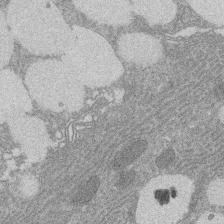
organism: Rat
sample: Salivary granule